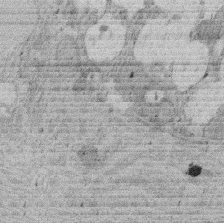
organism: Rat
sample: Salivary granule